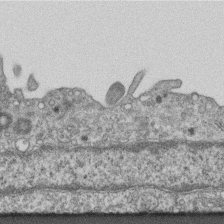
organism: Mouse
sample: Centriole in ependymal cells